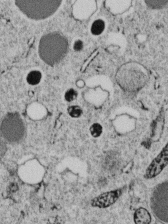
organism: C. elegans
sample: C. elegans embryo early stage